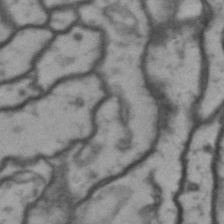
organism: Drosophila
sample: Brain